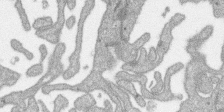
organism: Human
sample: Lung epithelial cells infected with SARS-CoV-2